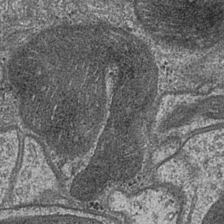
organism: Drosophila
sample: Optic medulla